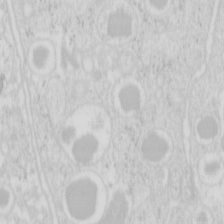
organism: Mouse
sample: Pancreas